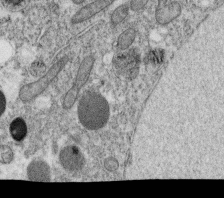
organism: C. elegans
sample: C. elegans oocyte; sperm cells